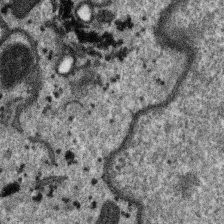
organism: Human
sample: Lung epithelial cells infected with SARS-CoV-2